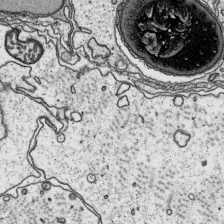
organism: Platynereis dumerilii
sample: Parapodia